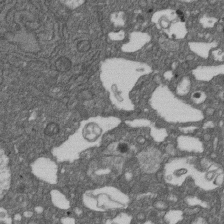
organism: Drosophila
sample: Nephrocyte